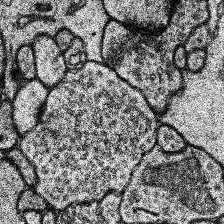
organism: Human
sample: Temporal Lobe